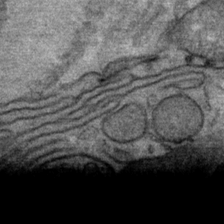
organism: Mouse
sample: Mouse Salivary gland